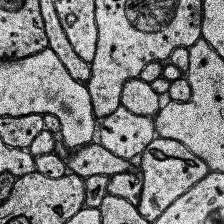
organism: Human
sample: Temporal Lobe